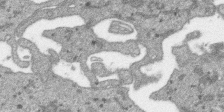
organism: Human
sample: Lung epithelial cells infected with SARS-CoV-2